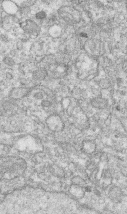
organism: Human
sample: HeLa cell HIV synapse